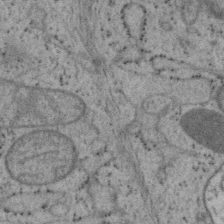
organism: Human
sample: HeLa cells